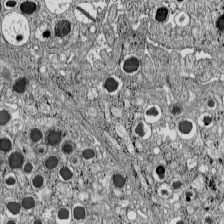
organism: C57BL Mouse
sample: Pancreatic islet